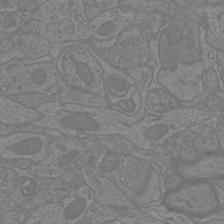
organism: Mouse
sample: Cortical neurons